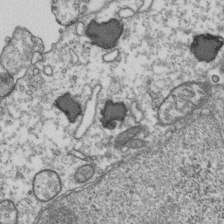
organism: Human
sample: Activated Jurkat CD4+ T cells